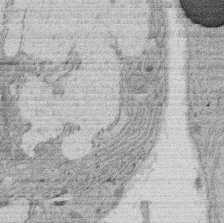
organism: Rat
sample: Salivary granule